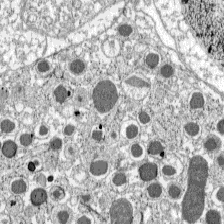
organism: C57BL Mouse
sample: Pancreatic islet